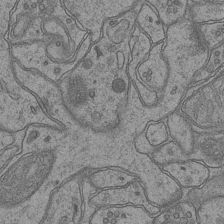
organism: Mouse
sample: CA1 Hippocampus